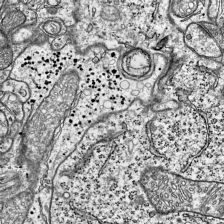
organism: Mouse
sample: Visual Cortex